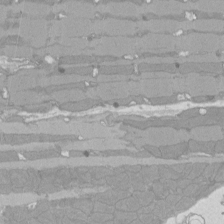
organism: Rat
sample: Left ventricle